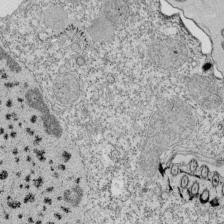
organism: Tetrahymena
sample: Cilia in tetrahymena